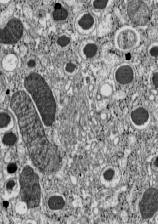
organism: C57BL Mouse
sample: Pancreatic islet